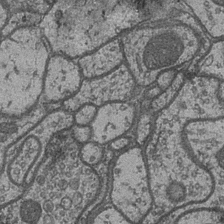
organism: Drosophila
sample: Optic medulla